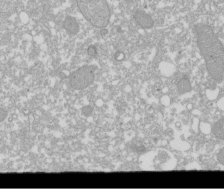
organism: Xenopus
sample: Cilia; centrioles in frog embryo cells